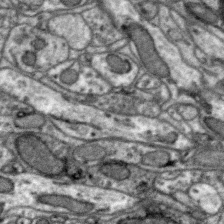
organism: Zebra finch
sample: Brain